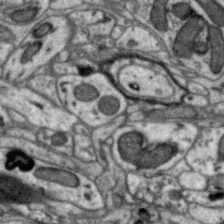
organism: Zebra finch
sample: Brain